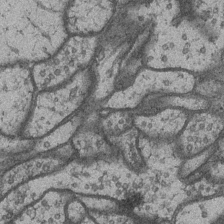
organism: Drosophila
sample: Optic medulla